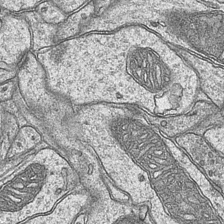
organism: Mouse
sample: CA1 Hippocampus